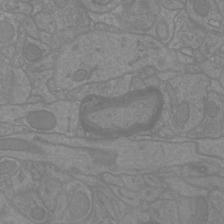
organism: Mouse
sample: Cortical neurons